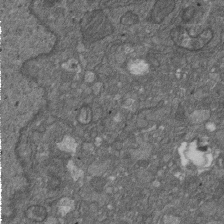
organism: Drosophila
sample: Nephrocyte